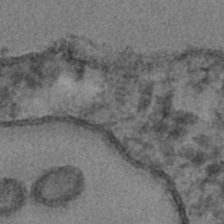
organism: C. elegans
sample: C. elegans embryo